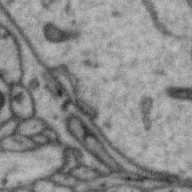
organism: Zebra finch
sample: Brain